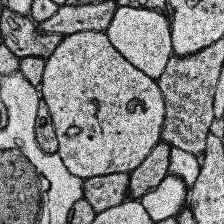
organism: Human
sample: Temporal Lobe